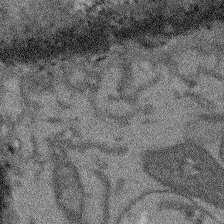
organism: Arabidopsis thaliana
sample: Root tip